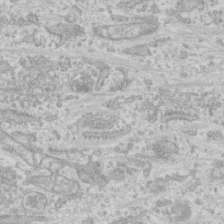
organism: Human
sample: CRL-1474